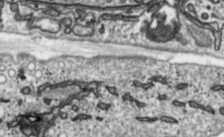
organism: Toxoplasma gondii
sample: Parasites in a vacuole inside a host cell